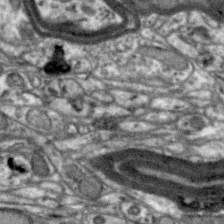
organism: Zebra finch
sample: Brain